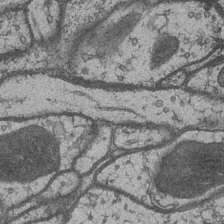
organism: Drosophila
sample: Optic medulla